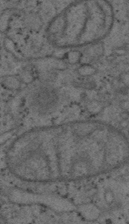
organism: Human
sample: HeLa cells